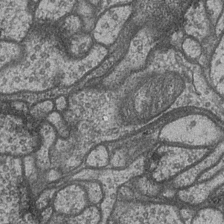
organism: Drosophila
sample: Optic medulla